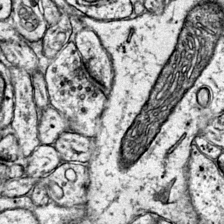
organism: Mouse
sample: Primary visual cortex